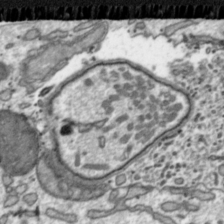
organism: Toxoplasma gondii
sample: Parasites in a vacuole inside a host cell